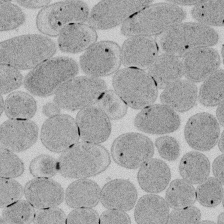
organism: E. coli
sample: Bacterial nucleoid